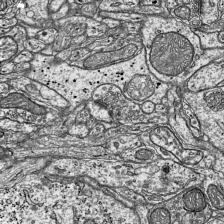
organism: Mouse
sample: Visual Cortex